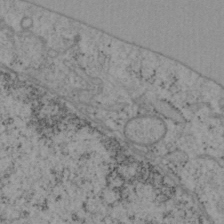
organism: Human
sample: HeLa cells